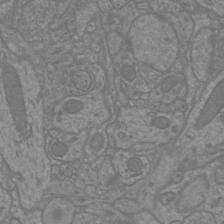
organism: Mouse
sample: Cortical neurons